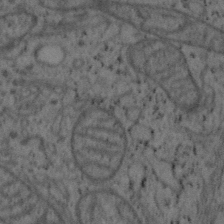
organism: Human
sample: HeLa cells